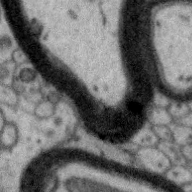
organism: Zebra finch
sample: Brain